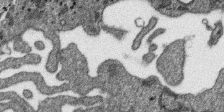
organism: Human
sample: Lung epithelial cells infected with SARS-CoV-2